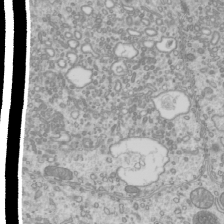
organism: Mouse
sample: Cilia; mouse epididymis